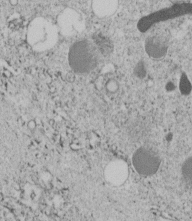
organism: C. elegans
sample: C. elegans embryo early stage